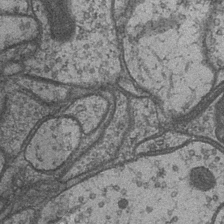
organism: Drosophila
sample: Optic medulla